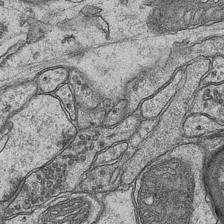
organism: Mouse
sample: CA1 Hippocampus